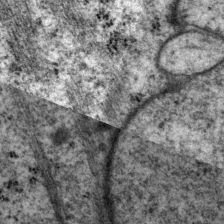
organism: P. pacificus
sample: Pharynx